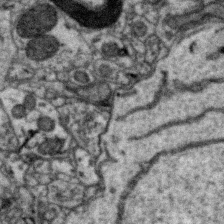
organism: Zebra finch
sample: Brain